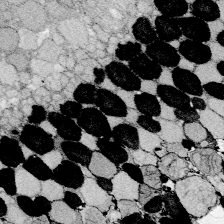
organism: Zebrafish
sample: Whole-Brain